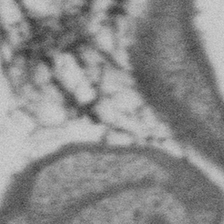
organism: Gemmata obscuriglobus